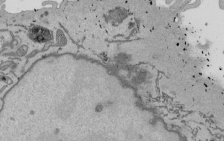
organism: Mouse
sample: ED-1 cell nuclei; centrioles